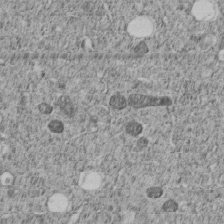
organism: C. elegans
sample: C. elegans embryo early stage